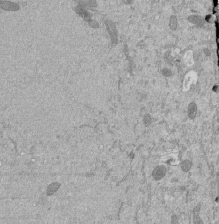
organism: Mouse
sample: ED-1 cell nuclei; centrioles